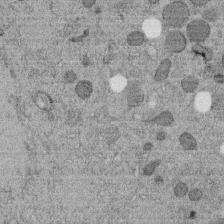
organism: C. elegans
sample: C. elegans embryo early stage